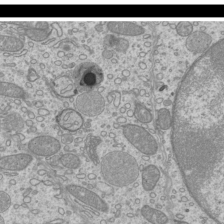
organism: Mouse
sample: Cilia; mouse epididymis